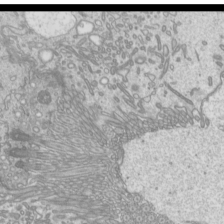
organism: Mouse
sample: Cilia; mouse epididymis